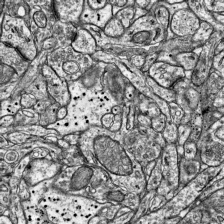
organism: Mouse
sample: Visual Cortex